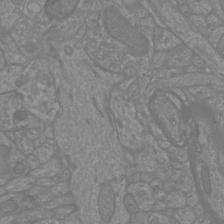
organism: Mouse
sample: Cortical neurons